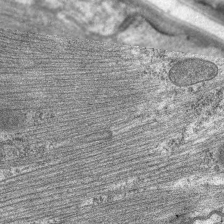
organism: C. elegans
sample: Pharynx